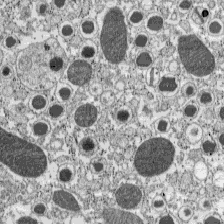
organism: C57BL Mouse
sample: Pancreatic islet